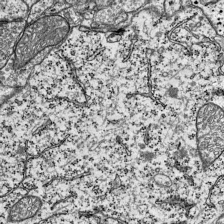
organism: Mouse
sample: Visual Cortex